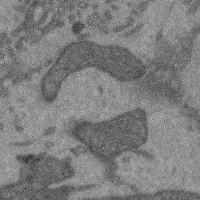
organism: Mouse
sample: Cerebral cortex